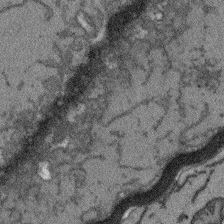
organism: Arabidopsis thaliana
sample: Root tip